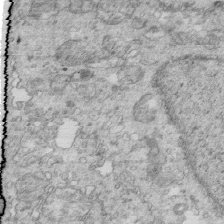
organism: Mouse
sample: Multiciliated cells